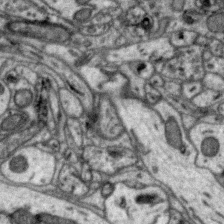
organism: Zebra finch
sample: Brain